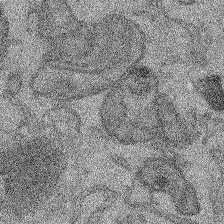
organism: Human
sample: HeLa cells